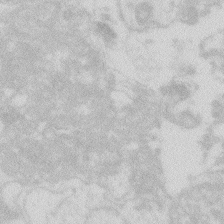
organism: Zebrafish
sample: Macrophage